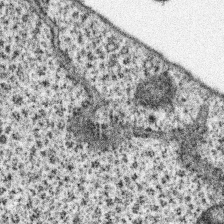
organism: Human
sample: HeLa cells